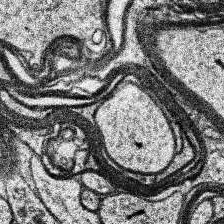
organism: Human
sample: Temporal Lobe